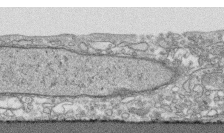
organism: Human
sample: CRL-1474